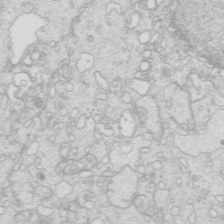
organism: Mouse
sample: Multiciliated cells